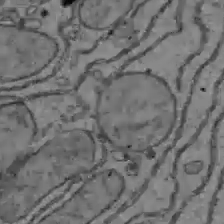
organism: C57BL Mouse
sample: Liver